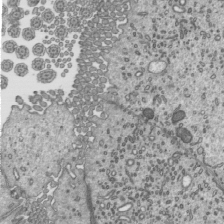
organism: Mouse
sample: Mouse epididymis efferent ductule cilia